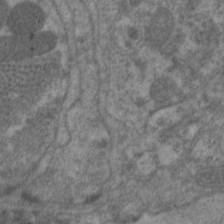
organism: C. elegans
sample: Pharynx